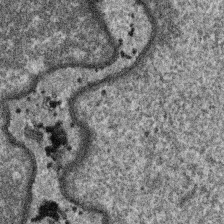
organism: Human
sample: Lung epithelial cells infected with SARS-CoV-2